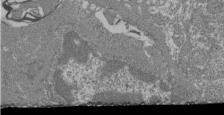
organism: Mouse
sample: Glomerulus